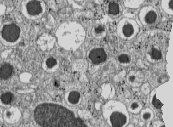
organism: C57BL Mouse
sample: Pancreatic islet